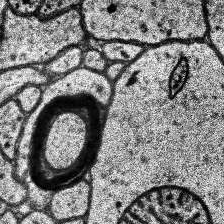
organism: Human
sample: Temporal Lobe